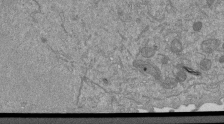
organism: Mouse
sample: ED-1 cell nuclei; centrioles